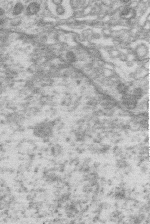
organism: Human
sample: Macrophage cells